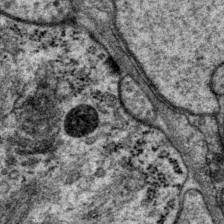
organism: P. pacificus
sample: Pharynx